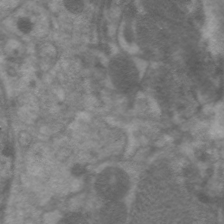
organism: C. elegans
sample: Pharynx